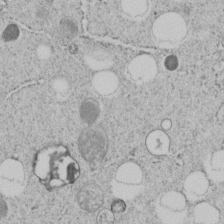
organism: C. elegans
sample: C. elegans embryo early stage